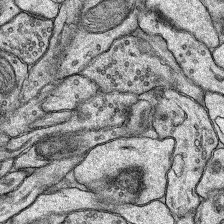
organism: Rat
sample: Hippocampus